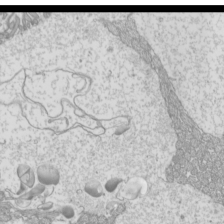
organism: Mouse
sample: Cilia; mouse epididymis